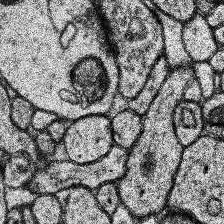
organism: Human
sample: Temporal Lobe